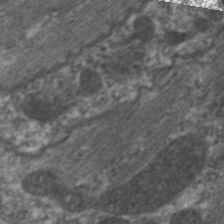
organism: C. elegans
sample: Pharynx